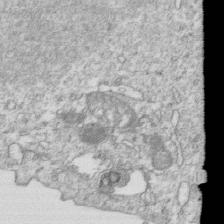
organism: Mouse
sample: Activated OT-1 CD8+ T cells